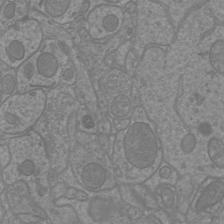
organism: Mouse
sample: Cortical neurons